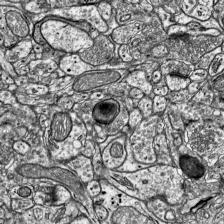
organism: Mouse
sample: Visual Cortex